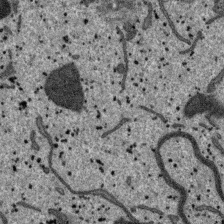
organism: Human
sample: Lung epithelial cells, uninfected (mock) control